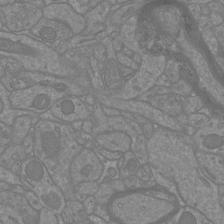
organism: Mouse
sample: Cortical neurons